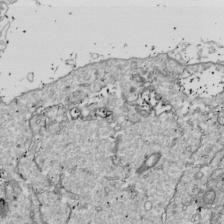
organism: Drosophila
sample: Cell division; meiosis; drosophila spermatocytes